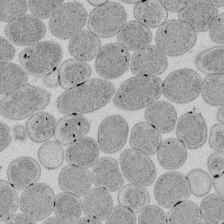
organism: E. coli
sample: Bacterial nucleoid